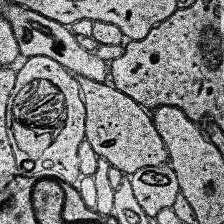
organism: Human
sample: Temporal Lobe